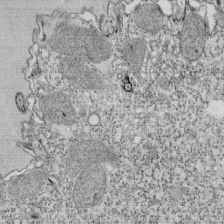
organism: Tetrahymena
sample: Cilia in tetrahymena